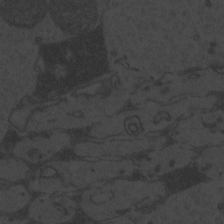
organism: Zebrafish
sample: Macrophage infected with Toxoplasma gondii